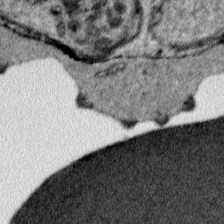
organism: Plasmodium falciparum